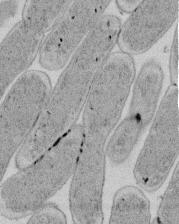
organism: E. coli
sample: Bacterial nucleoid